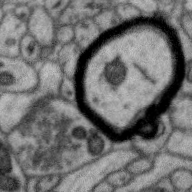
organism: Zebra finch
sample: Brain